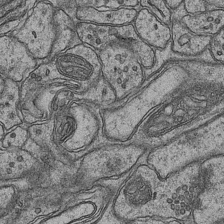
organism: Mouse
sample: CA1 Hippocampus